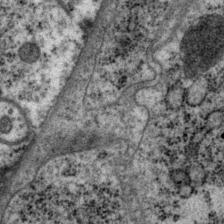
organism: P. pacificus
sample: Pharynx